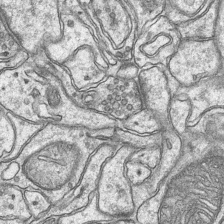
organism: Mouse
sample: CA1 Hippocampus